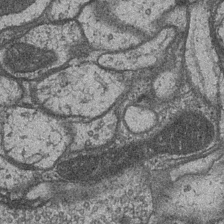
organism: Drosophila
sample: Optic medulla